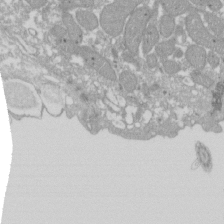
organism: Xenopus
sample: Cilia; centrioles in frog embryo cells